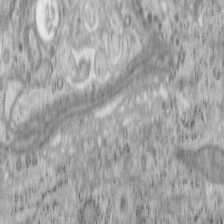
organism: Human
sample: HeLa cells